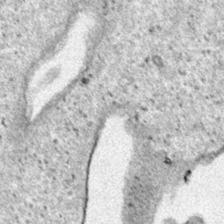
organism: Human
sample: Mitochondria in HCT116 cells